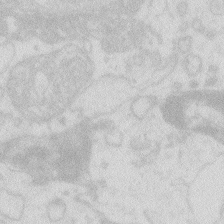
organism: Zebrafish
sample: Macrophage